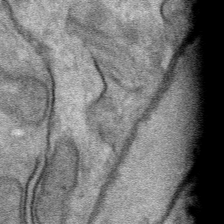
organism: Mouse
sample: Mouse Salivary gland